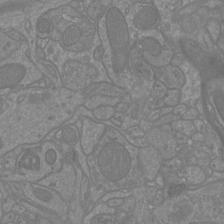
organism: Mouse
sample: Cortical neurons